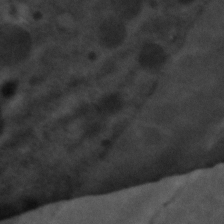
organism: C. elegans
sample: C. elegans embryo